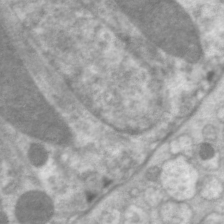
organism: C. elegans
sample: Pharynx